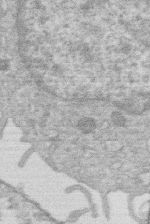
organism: Human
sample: Macrophage cells